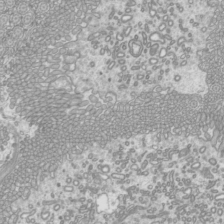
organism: Mouse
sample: Cilia; mouse epididymis